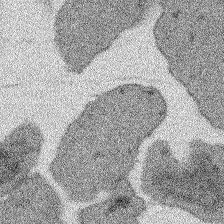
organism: Human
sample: HeLa cells